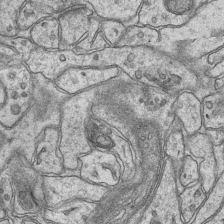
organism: Mouse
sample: CA1 Hippocampus